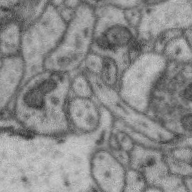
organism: Zebra finch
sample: Brain